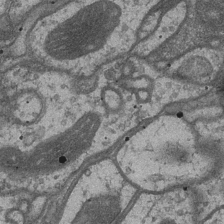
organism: Drosophila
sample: Optic medulla